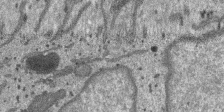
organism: Human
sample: Lung epithelial cells infected with SARS-CoV-2